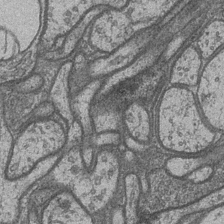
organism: Drosophila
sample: Optic medulla